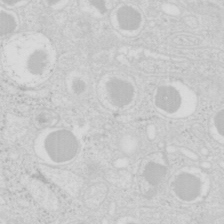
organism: Mouse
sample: Pancreas